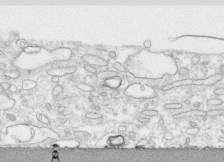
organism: Human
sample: CRL-1474